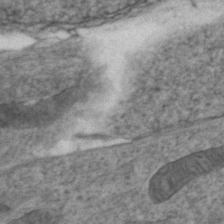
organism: Zebrafish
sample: Zebrafish embryo